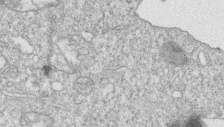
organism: Human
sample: HeLa cell HIV synapse